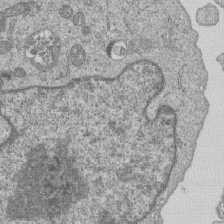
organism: Human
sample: MDA-MB-231 cells